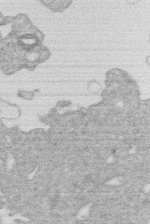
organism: Human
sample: Macrophage cells